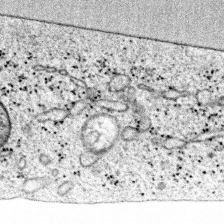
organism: Human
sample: HeLa cells